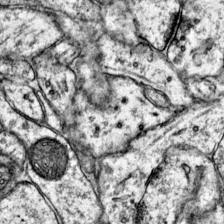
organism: Mouse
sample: Primary visual cortex